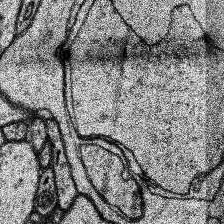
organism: Human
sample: Temporal Lobe